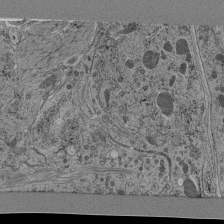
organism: C. elegans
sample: C. elegans pharynx